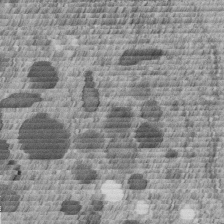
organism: C. elegans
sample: C. elegans embryo early stage